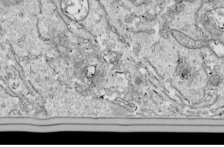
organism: Drosophila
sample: Cell division; meiosis; drosophila spermatocytes